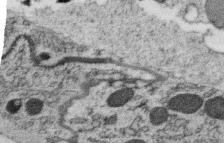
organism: C. elegans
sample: C. elegans oocyte; sperm cells